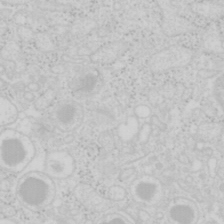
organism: Mouse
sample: Pancreas